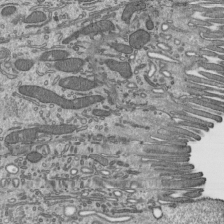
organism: Mouse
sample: Mouse epididymis efferent ductule cilia